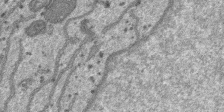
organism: Human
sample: Lung epithelial cells infected with SARS-CoV-2